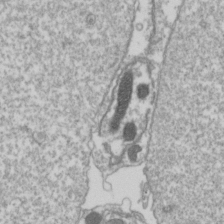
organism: Drosophila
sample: Cell division; meiosis; drosophila spermatocytes